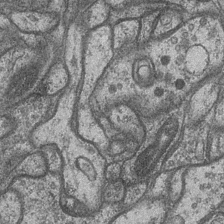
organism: Drosophila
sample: Optic medulla